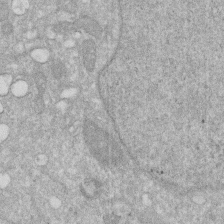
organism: Human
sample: HIV infected U937 cells